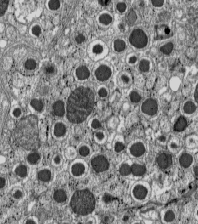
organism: C57BL Mouse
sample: Pancreatic islet